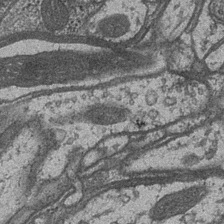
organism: Drosophila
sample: Optic medulla